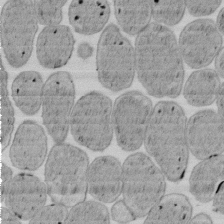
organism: E. coli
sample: Bacterial nucleoid